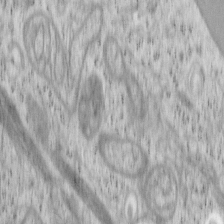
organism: Human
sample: HeLa cells